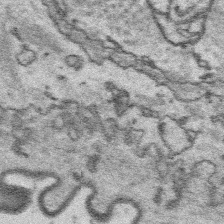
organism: Platynereis dumerilii